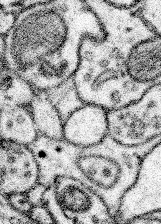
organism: Mouse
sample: Somatosensory cortex neuropil